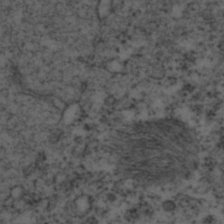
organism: C. elegans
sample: C. elegans embryo